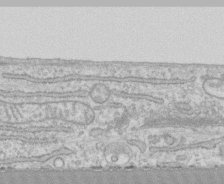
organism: Human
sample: CRL-1474